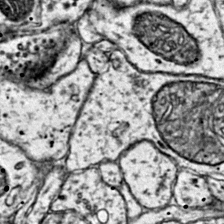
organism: Mouse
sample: Primary visual cortex